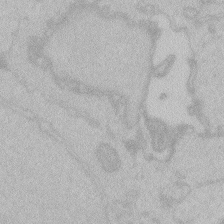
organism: Zebrafish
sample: Macrophage infected with Toxoplasma gondii